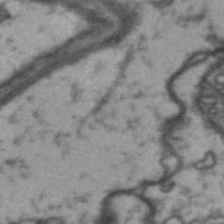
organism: Drosophila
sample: Brain